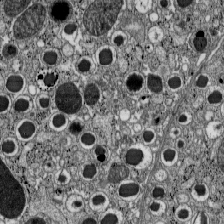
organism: C57BL Mouse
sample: Pancreatic islet